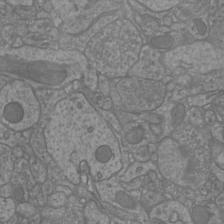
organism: Mouse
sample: Cortical neurons